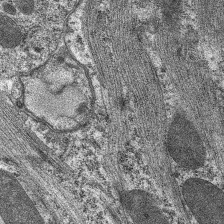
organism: C. elegans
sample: Pharynx